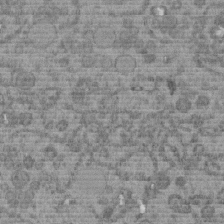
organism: C. elegans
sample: C. elegans embryo early stage